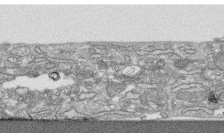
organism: Human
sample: CRL-1474